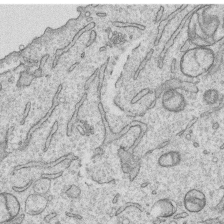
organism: Human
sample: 1205lu cells